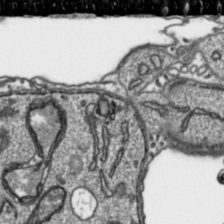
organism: Toxoplasma gondii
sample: Parasites in a vacuole inside a host cell